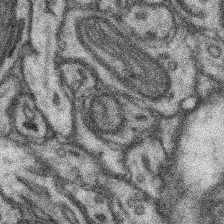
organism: Mouse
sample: Somatosensory cortex neuropil